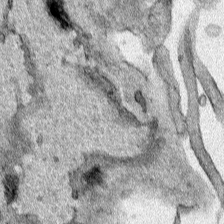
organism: Human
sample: Mitochondria in HCT116 cells